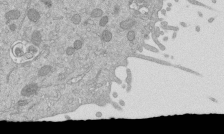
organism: Mouse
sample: ED-1 cell nuclei; centrioles